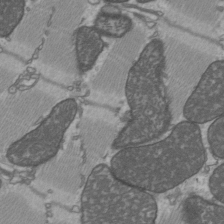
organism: C57BL Mouse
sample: Heart